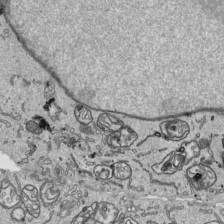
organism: Human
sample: Mitochondria in HCT116 cells